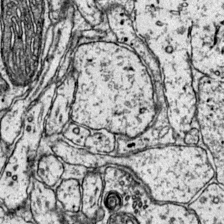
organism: Mouse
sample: Primary visual cortex